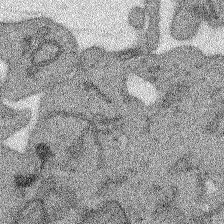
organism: Human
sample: HeLa cells